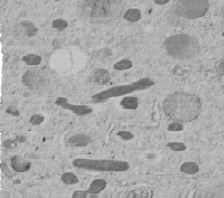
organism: C. elegans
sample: C. elegans embryo early stage